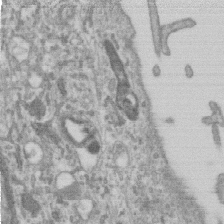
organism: Human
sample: Centriole in RPE cells